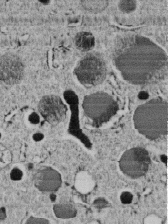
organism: C. elegans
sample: C. elegans embryo early stage